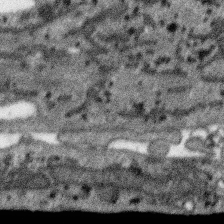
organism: Human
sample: Lung epithelial cells infected with SARS-CoV-2